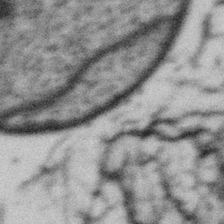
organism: Gemmata obscuriglobus